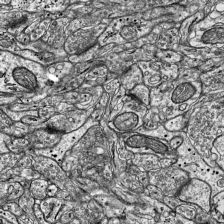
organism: Mouse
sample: Visual Cortex